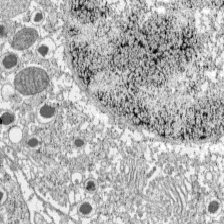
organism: C57BL Mouse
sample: Pancreatic islet